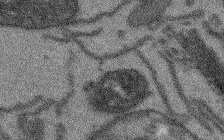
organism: Arabidopsis thaliana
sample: Root tip